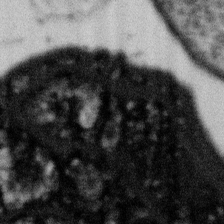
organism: Gemmata obscuriglobus